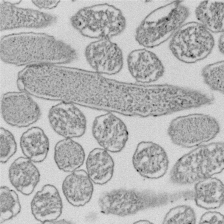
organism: E. coli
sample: Bacterial nucleoid